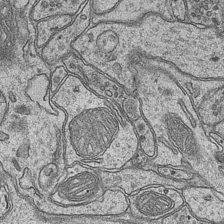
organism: Mouse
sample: CA1 Hippocampus